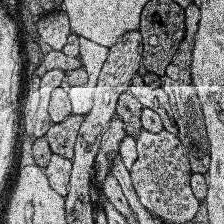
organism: Human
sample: Temporal Lobe